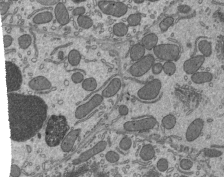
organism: Mouse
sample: Mouse epididymis efferent ductule cilia